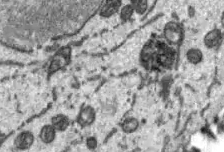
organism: Human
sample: HeLa cells